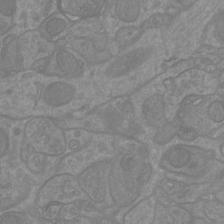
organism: Mouse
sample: Cortical neurons